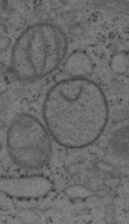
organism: Human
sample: HeLa cells